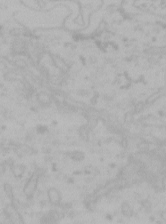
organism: Mouse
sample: Choroid plexus